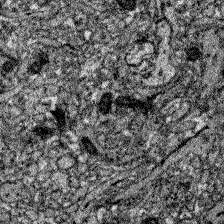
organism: Zebrafish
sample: Larval olfactory bulb